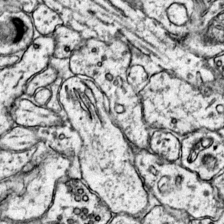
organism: Mouse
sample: Primary visual cortex